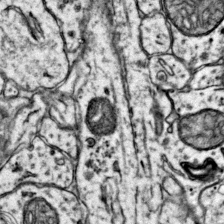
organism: Mouse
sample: Primary visual cortex